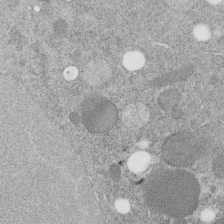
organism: C. elegans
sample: C. elegans embryo early stage